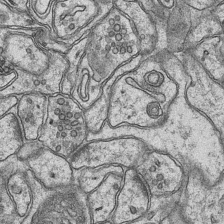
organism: Mouse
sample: CA1 Hippocampus